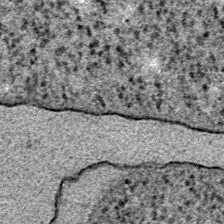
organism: E. coli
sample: E. Coli Bacteria